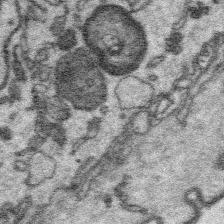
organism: Platynereis dumerilii